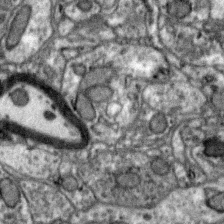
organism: Zebra finch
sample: Brain